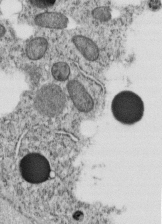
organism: C. elegans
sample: C. elegans embryo early stage